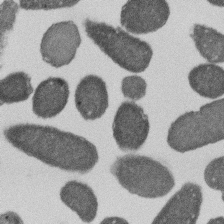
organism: E. coli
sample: Bacterial nucleoid